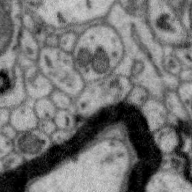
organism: Zebra finch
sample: Brain